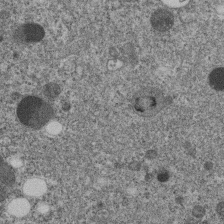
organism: C. elegans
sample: C. elegans embryo early stage